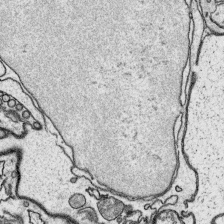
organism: Platynereis dumerilii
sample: Parapodia